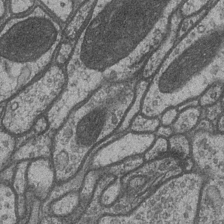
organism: Drosophila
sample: Optic medulla